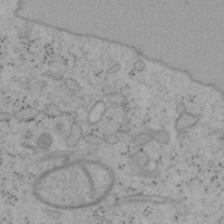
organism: Human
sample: HeLa cells